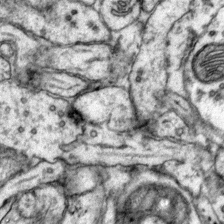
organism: Mouse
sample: Primary visual cortex